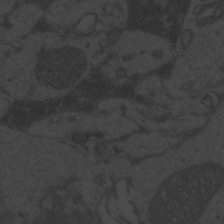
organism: Zebrafish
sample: Macrophage infected with Toxoplasma gondii